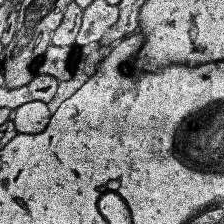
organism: Human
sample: Temporal Lobe